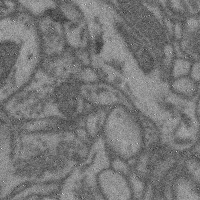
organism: Mouse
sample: Cerebral cortex